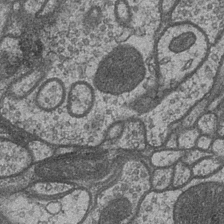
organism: Drosophila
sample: Optic medulla